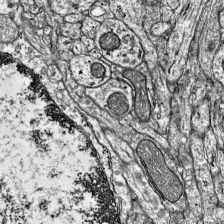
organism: Mouse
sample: Visual Cortex